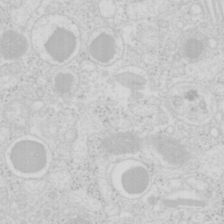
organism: Mouse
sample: Pancreas